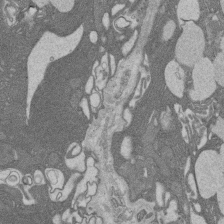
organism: Rat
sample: Salivary granule